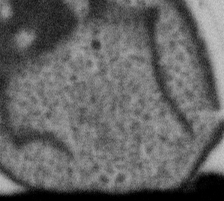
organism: Gemmata obscuriglobus